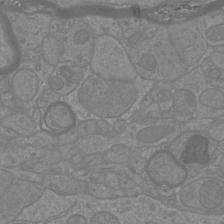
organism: Mouse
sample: Cortical neurons